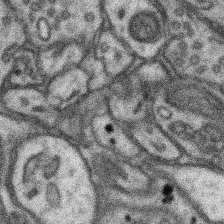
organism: Mouse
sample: Somatosensory cortex neuropil